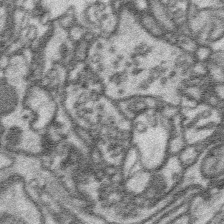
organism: Platynereis dumerilii